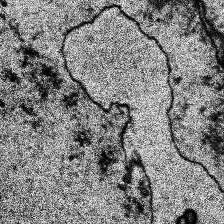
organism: Human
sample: Temporal Lobe